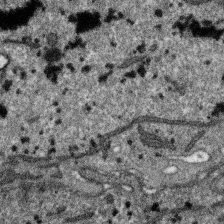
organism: Human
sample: Lung epithelial cells infected with SARS-CoV-2